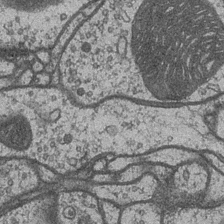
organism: Drosophila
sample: Optic medulla